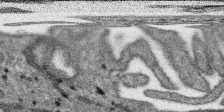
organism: Human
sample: Lung epithelial cells infected with SARS-CoV-2